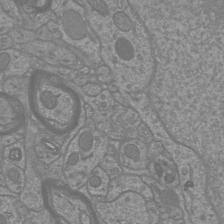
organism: Mouse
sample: Cortical neurons